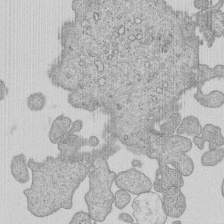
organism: Human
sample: MDA-MB-231 cells